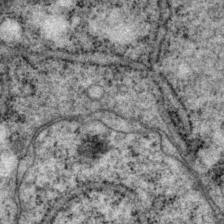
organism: P. pacificus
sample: Pharynx